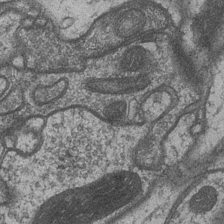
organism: Drosophila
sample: Optic medulla